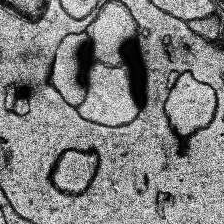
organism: Human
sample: Temporal Lobe